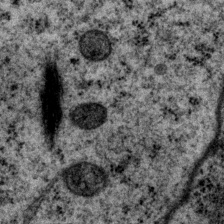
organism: P. pacificus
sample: Pharynx